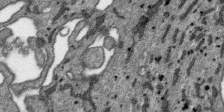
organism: Human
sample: Lung epithelial cells, uninfected (mock) control